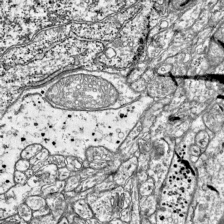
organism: Mouse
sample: Visual Cortex